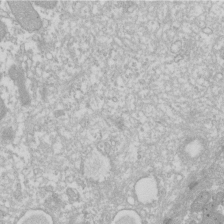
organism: Xenopus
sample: Cilia; centrioles in frog embryo cells